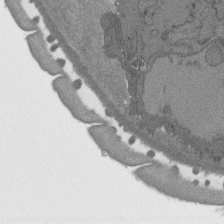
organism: C. elegans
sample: AFD neurons C. elegans